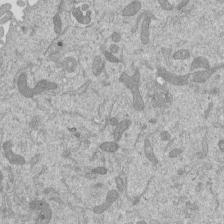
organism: Mouse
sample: ED-1 cell nuclei; centrioles